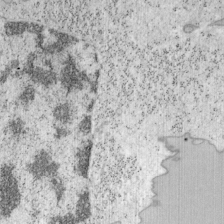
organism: Mouse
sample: OT-I killer T cells with ID8 ovarian cancer cells